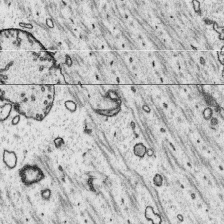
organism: Platynereis dumerilii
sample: Parapodia